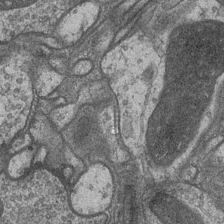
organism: Drosophila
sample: Optic medulla